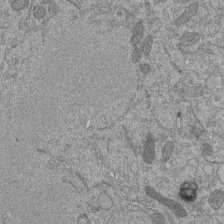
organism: Mouse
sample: ED-1 cell nuclei; centrioles